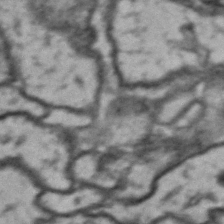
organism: Drosophila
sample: Brain